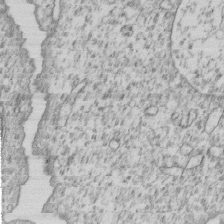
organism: Human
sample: MDA-MB-231 cells